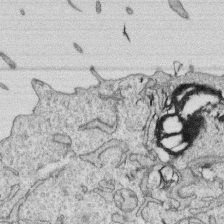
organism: Human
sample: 1205lu cells